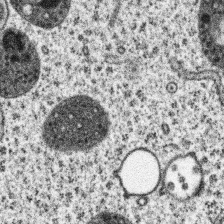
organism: Human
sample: HeLa cells